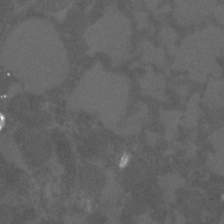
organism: C. elegans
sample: C. elegans embryo